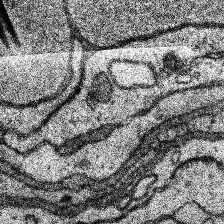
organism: Human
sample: Temporal Lobe